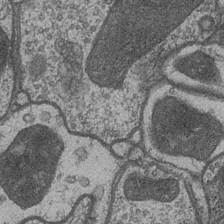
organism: Drosophila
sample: Optic medulla